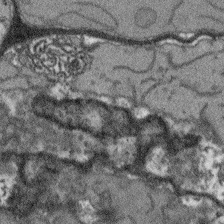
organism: Arabidopsis thaliana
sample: Root tip